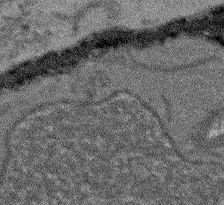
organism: Arabidopsis thaliana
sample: Root tip